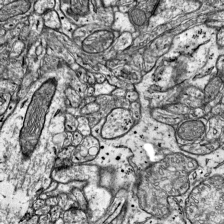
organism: Mouse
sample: Visual Cortex